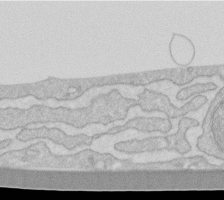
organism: Human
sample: Fibroblast cells